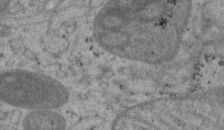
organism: Human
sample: HeLa cells